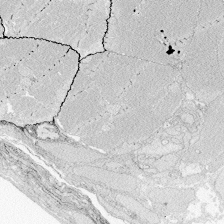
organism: Zebrafish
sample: Whole-Brain